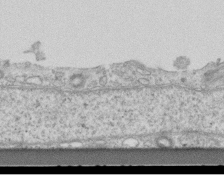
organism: Mouse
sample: Centriole in ependymal cells